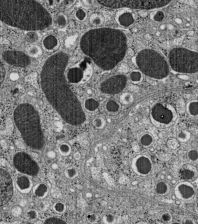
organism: C57BL Mouse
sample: Pancreatic islet